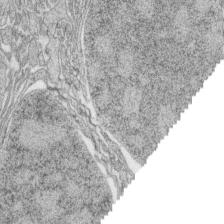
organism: Zebrafish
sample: synaptic ribbons in rod cells and cone cells